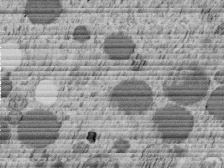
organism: C. elegans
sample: C. elegans embryo early stage